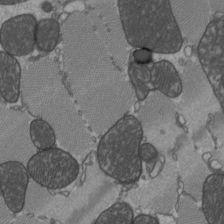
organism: C57BL Mouse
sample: Heart